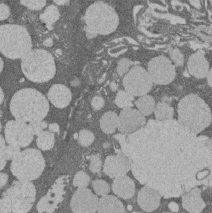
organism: Rat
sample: Salivary granule